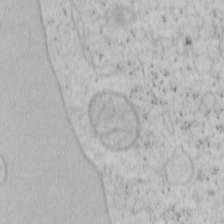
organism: Human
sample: HeLa cells